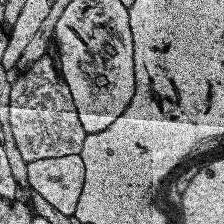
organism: Human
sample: Temporal Lobe